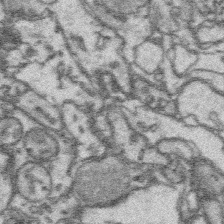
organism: Platynereis dumerilii